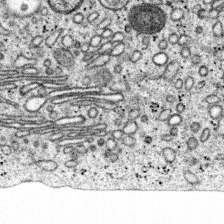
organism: Human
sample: HeLa cells